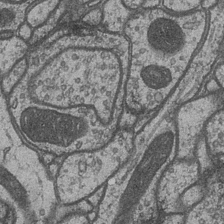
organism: Drosophila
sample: Optic medulla